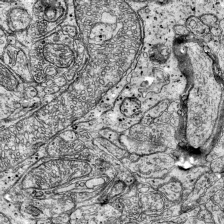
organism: Mouse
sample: Visual Cortex